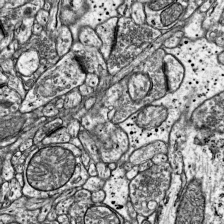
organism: Mouse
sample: Visual Cortex